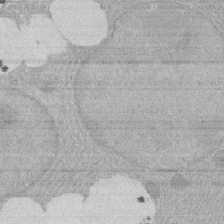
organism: Rat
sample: Salivary granule